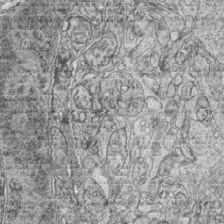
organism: Zebrafish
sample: synaptic ribbons in rod cells and cone cells